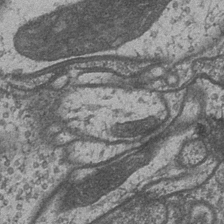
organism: Drosophila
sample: Optic medulla